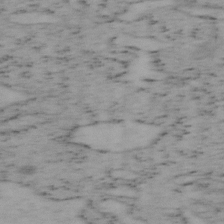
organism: Mouse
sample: OT-I killer T cells with ID8 ovarian cancer cells